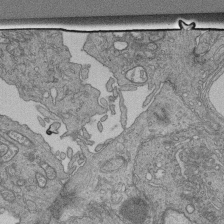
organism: Human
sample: Retinal organoid Rod and Cone cells